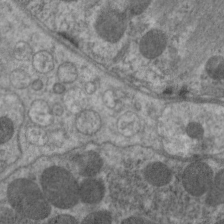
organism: C. elegans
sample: Pharynx